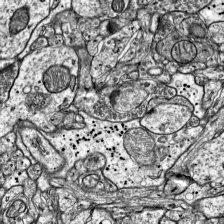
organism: Mouse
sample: Visual Cortex